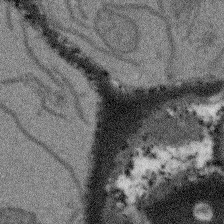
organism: Arabidopsis thaliana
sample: Root tip